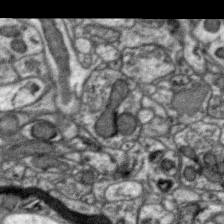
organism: Zebra finch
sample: Brain